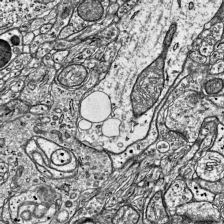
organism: Mouse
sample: Visual Cortex